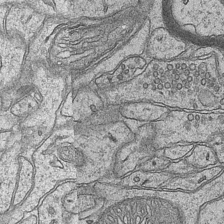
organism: Mouse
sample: CA1 Hippocampus